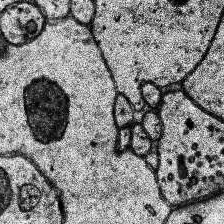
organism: Human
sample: Temporal Lobe